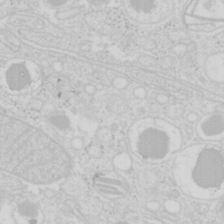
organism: Mouse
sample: Pancreas